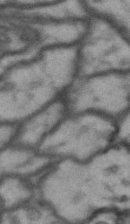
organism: Drosophila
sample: Brain